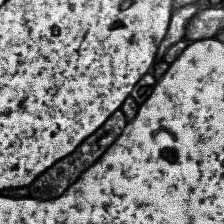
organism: Human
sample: Temporal Lobe